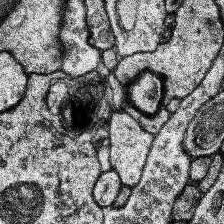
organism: Human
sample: Temporal Lobe